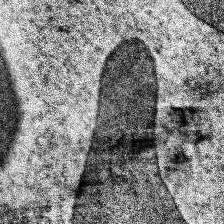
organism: Human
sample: Temporal Lobe